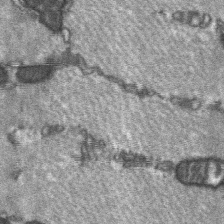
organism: C57BL Mouse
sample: Soleus